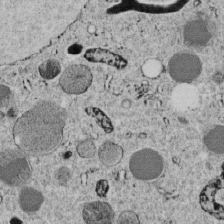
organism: C. elegans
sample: C. elegans embryo early stage